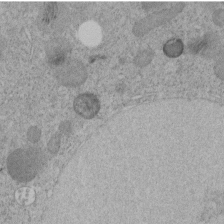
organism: C. elegans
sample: C. elegans embryo early stage